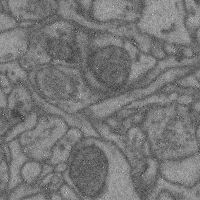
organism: Mouse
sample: Cerebral cortex